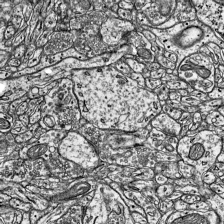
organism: Mouse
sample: Visual Cortex